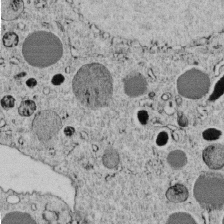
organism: C. elegans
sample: C. elegans embryo early stage